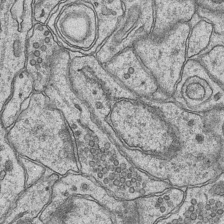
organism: Mouse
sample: CA1 Hippocampus